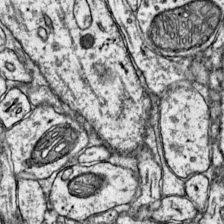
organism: Mouse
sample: Primary visual cortex